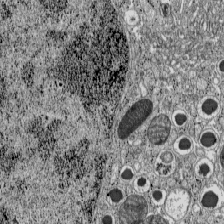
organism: C57BL Mouse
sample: Pancreatic islet